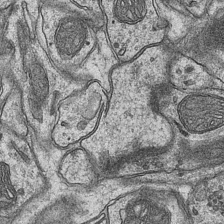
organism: Mouse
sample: CA1 Hippocampus